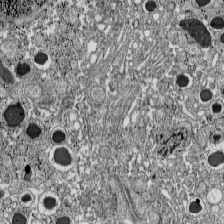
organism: C57BL Mouse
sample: Pancreatic islet